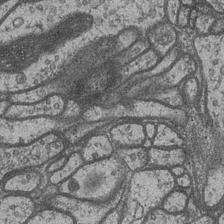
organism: Drosophila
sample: Optic medulla